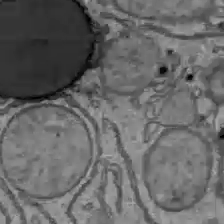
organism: C57BL Mouse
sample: Liver